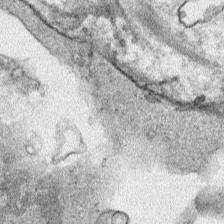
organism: Human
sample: Mitochondria in HCT116 cells